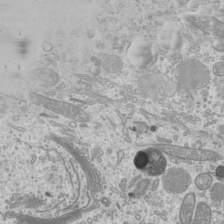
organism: Mouse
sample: Cilia; mouse epididymis